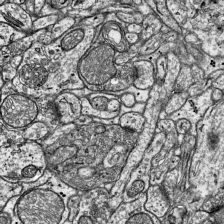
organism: Mouse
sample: Visual Cortex